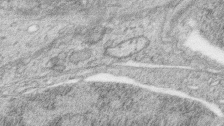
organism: Zebrafish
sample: synaptic ribbons in rod cells and cone cells